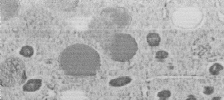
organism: C. elegans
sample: C. elegans embryo early stage